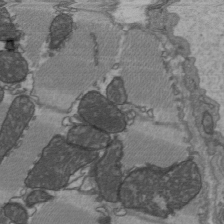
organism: C57BL Mouse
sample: Heart